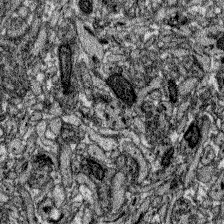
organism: Zebrafish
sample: Larval olfactory bulb